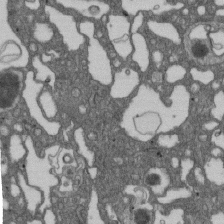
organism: Drosophila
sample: Nephrocyte